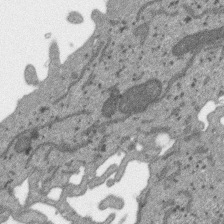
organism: Human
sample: Lung epithelial cells infected with SARS-CoV-2